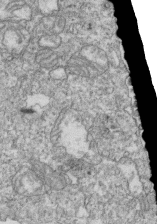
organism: Human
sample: HeLa cell HIV synapse